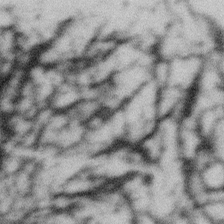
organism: Gemmata obscuriglobus